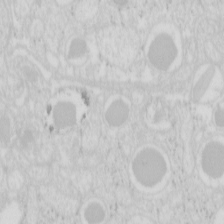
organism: Mouse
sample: Pancreas